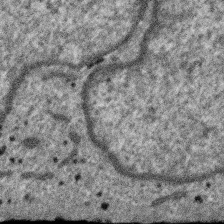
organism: Human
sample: Lung epithelial cells infected with SARS-CoV-2